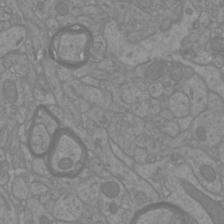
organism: Mouse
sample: Cortical neurons